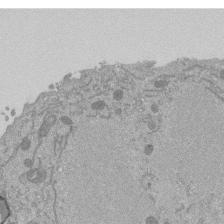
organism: Mouse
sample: ED-1 cell nuclei; centrioles